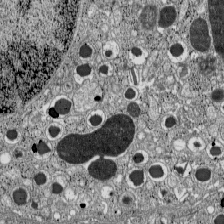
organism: C57BL Mouse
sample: Pancreatic islet